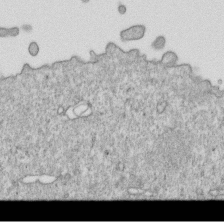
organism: Mouse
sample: Activated OT-1 CD8+ T cells